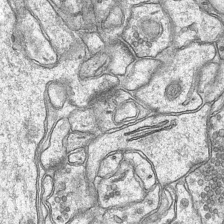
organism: Mouse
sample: CA1 Hippocampus